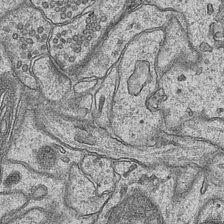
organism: Mouse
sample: CA1 Hippocampus